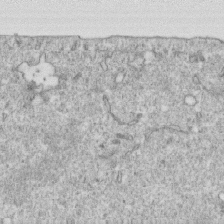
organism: Mouse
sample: Activated OT-1 CD8+ T cells